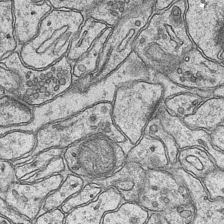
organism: Mouse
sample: CA1 Hippocampus